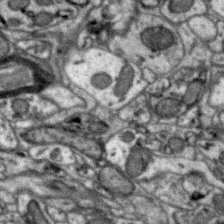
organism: Zebra finch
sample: Brain